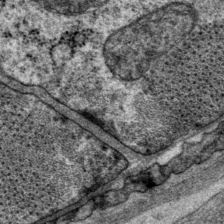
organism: P. pacificus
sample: Pharynx